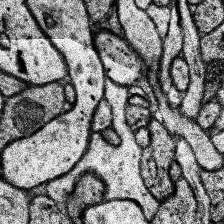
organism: Human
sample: Temporal Lobe